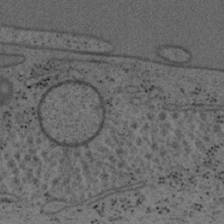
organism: Human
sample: HeLa cells